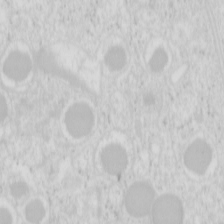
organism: Mouse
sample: Pancreas